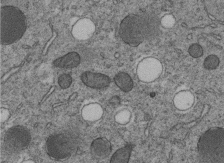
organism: C. elegans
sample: C. elegans embryo early stage